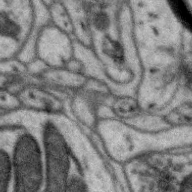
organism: Zebra finch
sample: Brain